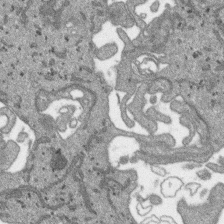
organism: Human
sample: Lung epithelial cells infected with SARS-CoV-2